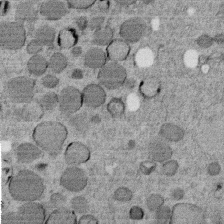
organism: C. elegans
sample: C. elegans embryo early stage